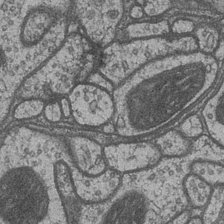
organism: Drosophila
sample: Optic medulla